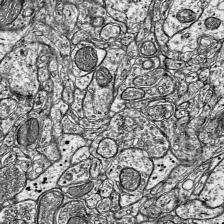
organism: Mouse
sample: Visual Cortex